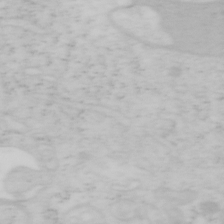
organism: Mouse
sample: OT-I killer T cells with ID8 ovarian cancer cells